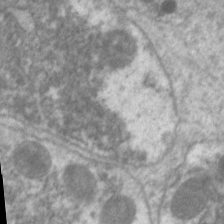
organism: C. elegans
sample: Pharynx